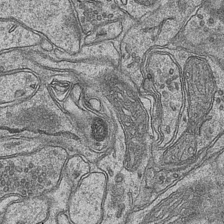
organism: Mouse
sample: CA1 Hippocampus